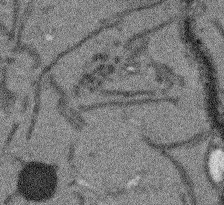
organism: Arabidopsis thaliana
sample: Root tip